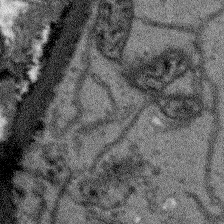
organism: Arabidopsis thaliana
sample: Root tip